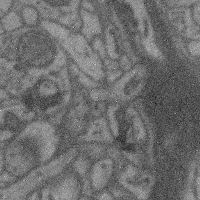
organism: Mouse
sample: Cerebral cortex